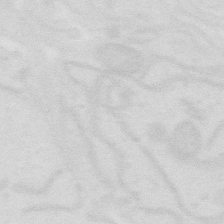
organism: Human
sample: HeLa cells